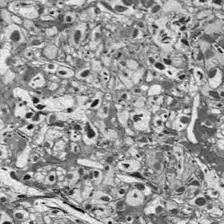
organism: Drosophila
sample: Optic lobe